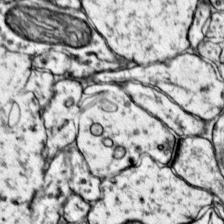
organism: Mouse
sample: Primary visual cortex